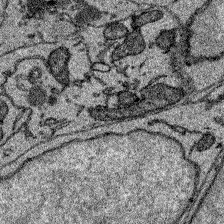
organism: Zebrafish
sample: Larval olfactory bulb